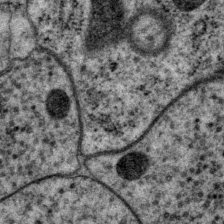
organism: P. pacificus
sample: Pharynx